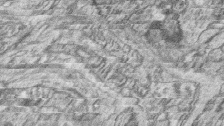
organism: Zebrafish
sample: synaptic ribbons in rod cells and cone cells